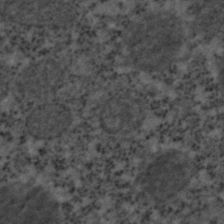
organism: C. elegans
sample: C. elegans embryo